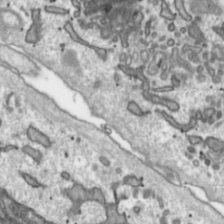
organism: Toxoplasma gondii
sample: Parasites in a vacuole inside a host cell